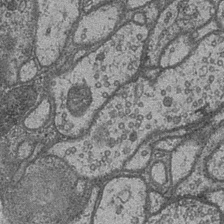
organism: Drosophila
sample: Optic medulla